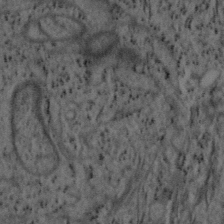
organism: Human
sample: HeLa cells